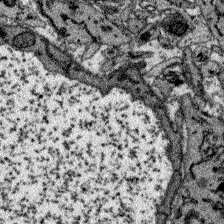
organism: Zebrafish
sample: Larval olfactory bulb